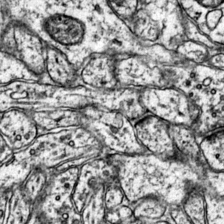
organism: Mouse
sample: Primary visual cortex